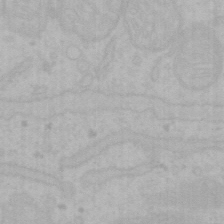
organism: Mouse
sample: Choroid plexus